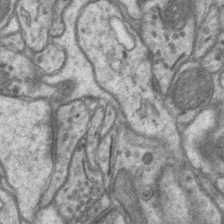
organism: Mouse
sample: CA1 Hippocampus